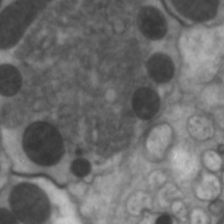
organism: C. elegans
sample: Pharynx